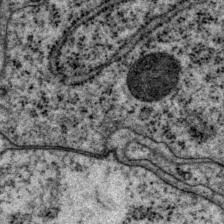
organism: P. pacificus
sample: Pharynx